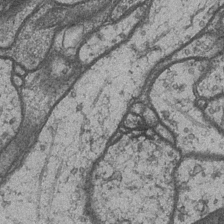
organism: Drosophila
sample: Optic medulla